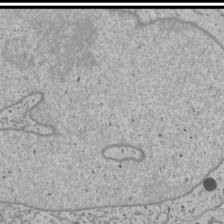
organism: Human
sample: Mitochondria in U2OS cells